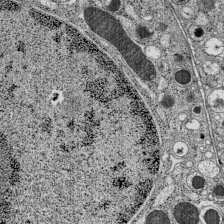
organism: C57BL Mouse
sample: Pancreatic islet